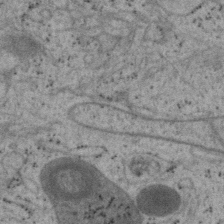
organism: Human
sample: HeLa cells